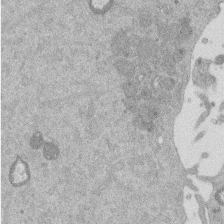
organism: Mouse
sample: Dividing mouse embryo 1 cell stage